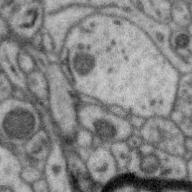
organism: Zebra finch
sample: Brain